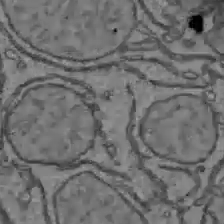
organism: C57BL Mouse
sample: Liver